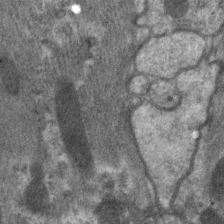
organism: C. elegans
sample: Pharynx